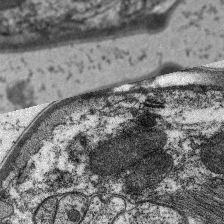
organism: C. elegans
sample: Pharynx